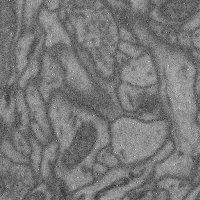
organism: Mouse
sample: Cerebral cortex